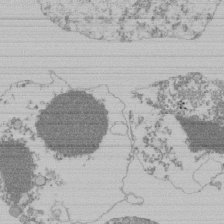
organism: Mouse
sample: Activated Pmel transgenic CD8+ T Cells